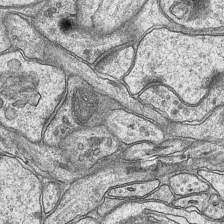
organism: Mouse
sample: CA1 Hippocampus